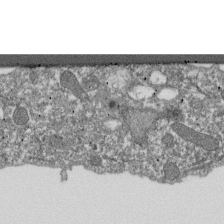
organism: Dictyostelium discoideum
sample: Dictyostelium multivesicular bodies